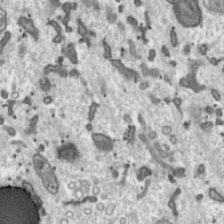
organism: Toxoplasma gondii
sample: Parasites in a vacuole inside a host cell